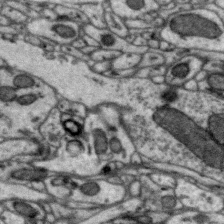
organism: Zebra finch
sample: Brain